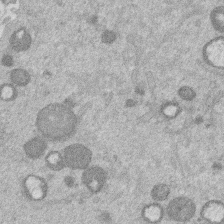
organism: Mouse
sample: Dividing mouse embryo 1 cell stage